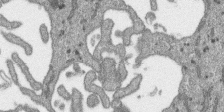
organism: Human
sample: Lung epithelial cells infected with SARS-CoV-2